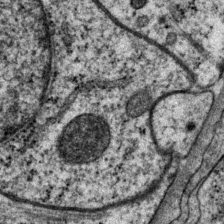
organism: P. pacificus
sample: Pharynx